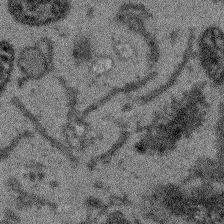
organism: Arabidopsis thaliana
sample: Root tip